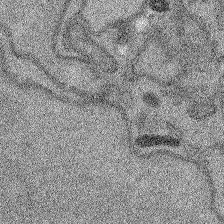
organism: Human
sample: HeLa cells